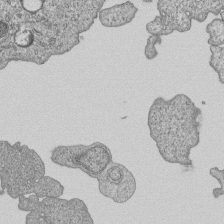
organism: Human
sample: MDA-MB-231 cells